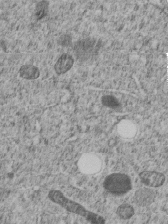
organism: C. elegans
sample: C. elegans embryo early stage